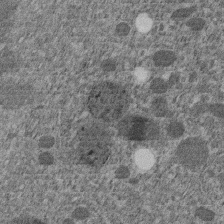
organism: C. elegans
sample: C. elegans embryo early stage